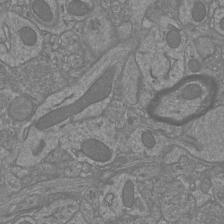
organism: Mouse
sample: Cortical neurons